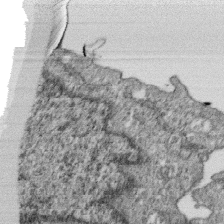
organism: African green monkey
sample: Vero E6 cells infected with SARS-CoV-2